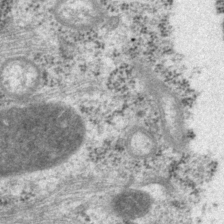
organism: P. pacificus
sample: Pharynx